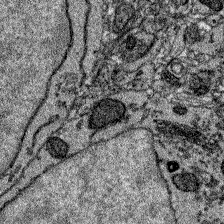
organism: Zebrafish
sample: Larval olfactory bulb